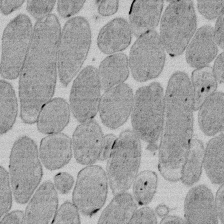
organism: E. coli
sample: Bacterial nucleoid